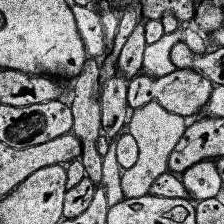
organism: Human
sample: Temporal Lobe